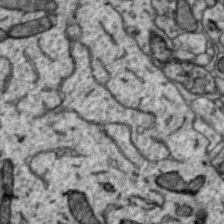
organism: Zebra finch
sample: Brain